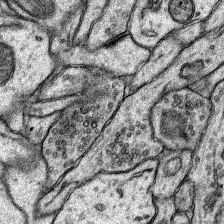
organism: Rat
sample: Hippocampus